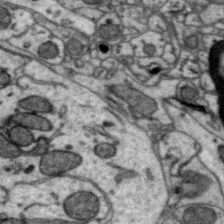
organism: Zebra finch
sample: Brain